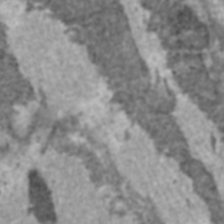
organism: C57BL Mouse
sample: Heart